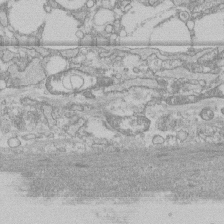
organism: Human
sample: CRL-1474